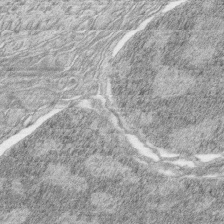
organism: Zebrafish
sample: synaptic ribbons in rod cells and cone cells